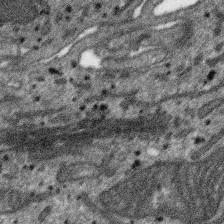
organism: Human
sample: Lung epithelial cells infected with SARS-CoV-2